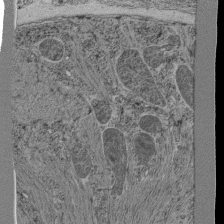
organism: C. elegans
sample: C. elegans pharynx